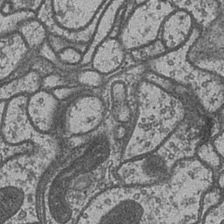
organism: Drosophila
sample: Optic medulla